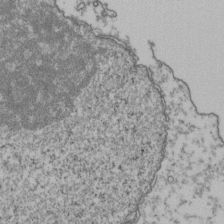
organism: Human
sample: Activated Jurkat CD4+ T cells